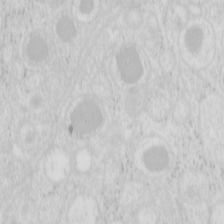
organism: Mouse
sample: Pancreas